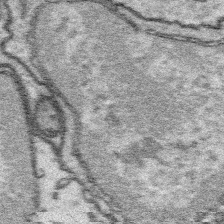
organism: Platynereis dumerilii